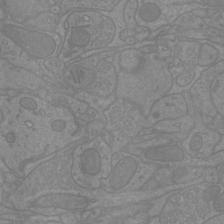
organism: Mouse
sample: Cortical neurons